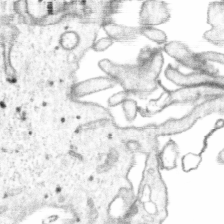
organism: Human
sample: HeLa cells